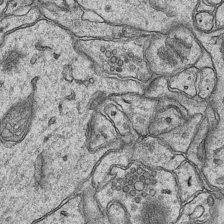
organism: Mouse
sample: CA1 Hippocampus